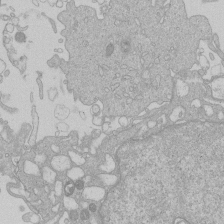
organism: Human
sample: Macrophage cells